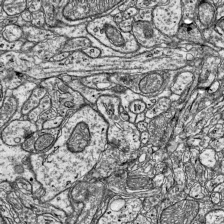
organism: Mouse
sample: Visual Cortex